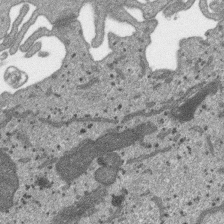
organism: Human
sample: Lung epithelial cells infected with SARS-CoV-2